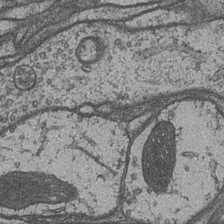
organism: Drosophila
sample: Optic medulla